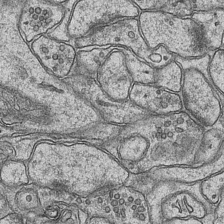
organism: Mouse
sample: CA1 Hippocampus